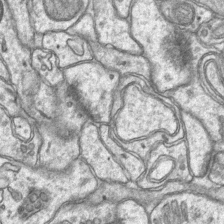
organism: Mouse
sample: CA1 Hippocampus